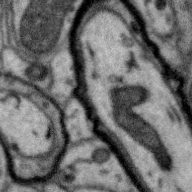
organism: Zebra finch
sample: Brain